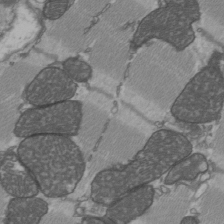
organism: C57BL Mouse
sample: Heart